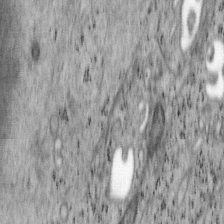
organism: Human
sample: HeLa cells